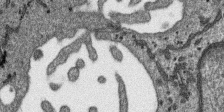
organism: Human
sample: Lung epithelial cells infected with SARS-CoV-2